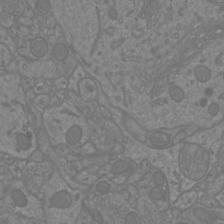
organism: Mouse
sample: Cortical neurons